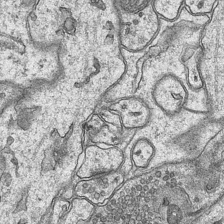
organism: Mouse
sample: CA1 Hippocampus